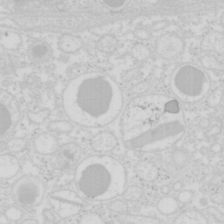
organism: Mouse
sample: Pancreas